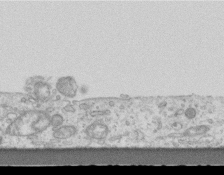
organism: Mouse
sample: Centriole in ependymal cells